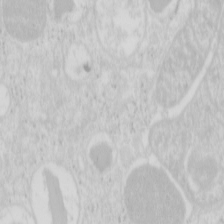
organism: Mouse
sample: Pancreas